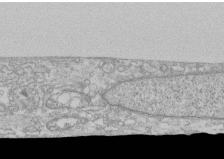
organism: Human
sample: CRL-1474